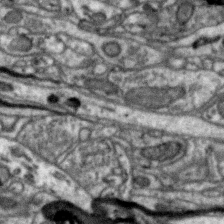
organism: Zebra finch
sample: Brain